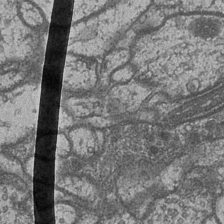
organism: Drosophila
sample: Optic medulla